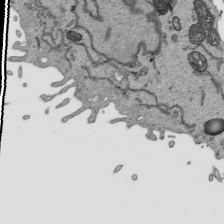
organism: Human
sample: Mitochondria in HCT116 cells